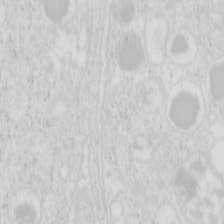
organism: Mouse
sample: Pancreas